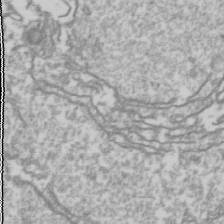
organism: Drosophila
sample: Cell division; meiosis; drosophila spermatocytes